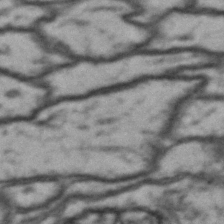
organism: Drosophila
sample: Brain